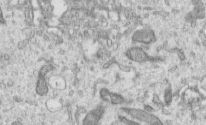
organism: Human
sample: Centriole in RPE cells